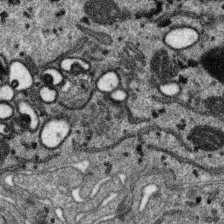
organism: Human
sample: Lung epithelial cells infected with SARS-CoV-2